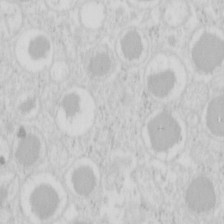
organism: Mouse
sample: Pancreas